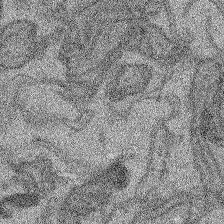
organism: Human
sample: HeLa cells